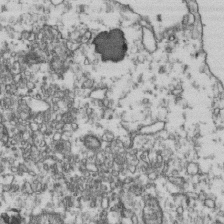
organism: Human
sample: Activated Jurkat CD4+ T cells